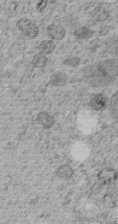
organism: C. elegans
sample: C. elegans embryo early stage